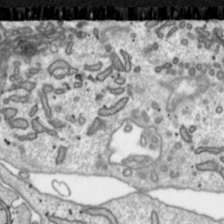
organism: Toxoplasma gondii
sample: Parasites in a vacuole inside a host cell